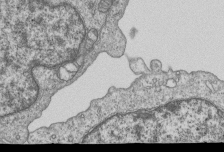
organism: Human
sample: MDA-MB-231 cells